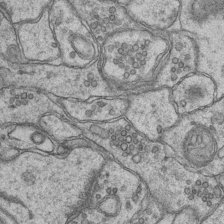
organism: Mouse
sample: CA1 Hippocampus